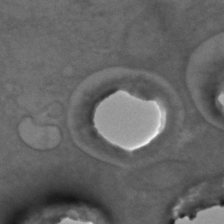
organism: C. elegans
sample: C. elegans embryo